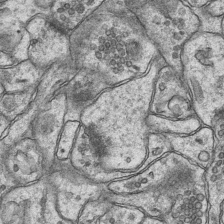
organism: Mouse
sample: CA1 Hippocampus